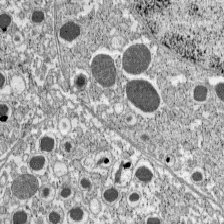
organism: C57BL Mouse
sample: Pancreatic islet